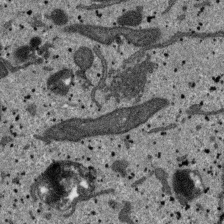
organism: Human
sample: Lung epithelial cells, uninfected (mock) control